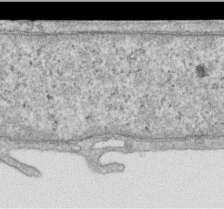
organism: Human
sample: Centriole in RPE cells